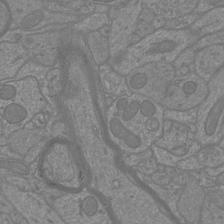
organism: Mouse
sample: Cortical neurons